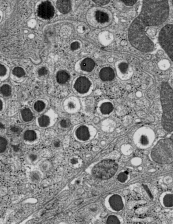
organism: C57BL Mouse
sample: Pancreatic islet